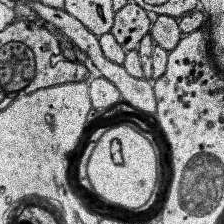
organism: Human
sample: Temporal Lobe